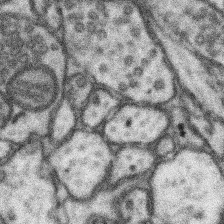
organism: Mouse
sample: Somatosensory cortex neuropil